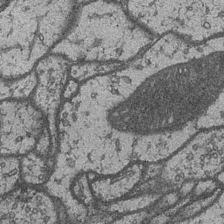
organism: Drosophila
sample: Optic medulla